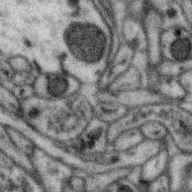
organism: Zebra finch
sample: Brain